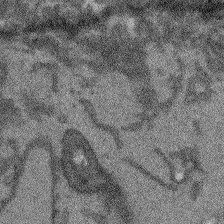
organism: Arabidopsis thaliana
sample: Root tip